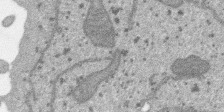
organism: Human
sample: Lung epithelial cells infected with SARS-CoV-2